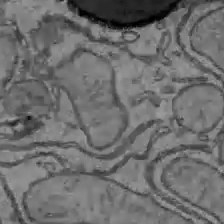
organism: C57BL Mouse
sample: Liver